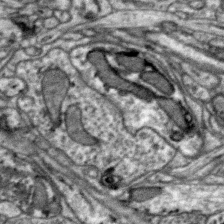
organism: Zebra finch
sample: Brain